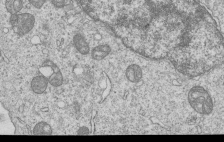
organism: Human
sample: MDA-MB-231 cells